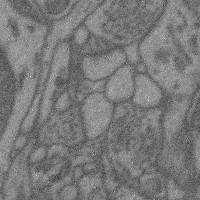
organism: Mouse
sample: Cerebral cortex